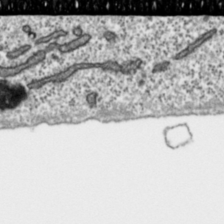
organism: Toxoplasma gondii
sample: Parasites in a vacuole inside a host cell